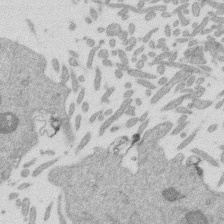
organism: Mouse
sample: Dividing mouse embryo 1 cell stage